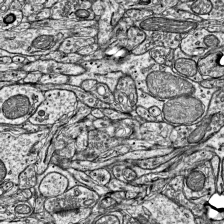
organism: Mouse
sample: Visual Cortex